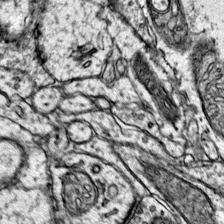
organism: Mouse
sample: Primary visual cortex